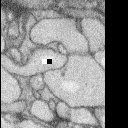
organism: Rabbit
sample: Retina